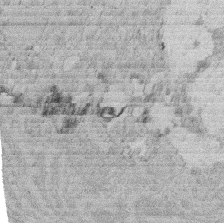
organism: Rat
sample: Salivary granule